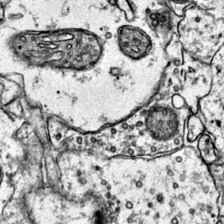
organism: Mouse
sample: Primary visual cortex